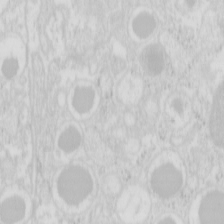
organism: Mouse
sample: Pancreas